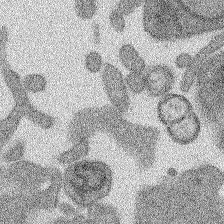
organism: Human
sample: HeLa cells